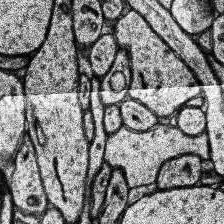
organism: Human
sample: Temporal Lobe